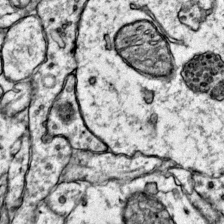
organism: Mouse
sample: Primary visual cortex